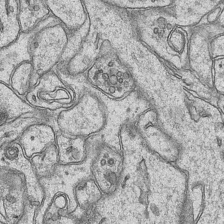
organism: Mouse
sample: CA1 Hippocampus